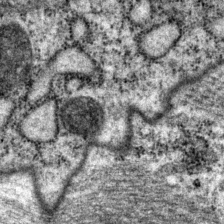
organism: P. pacificus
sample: Pharynx